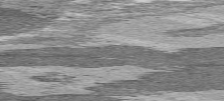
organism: C57BL Mouse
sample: Heart